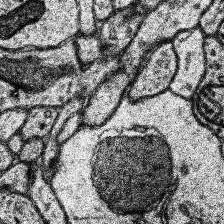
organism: Human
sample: Temporal Lobe